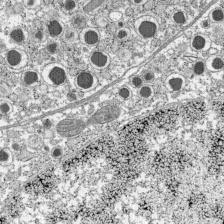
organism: C57BL Mouse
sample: Pancreatic islet